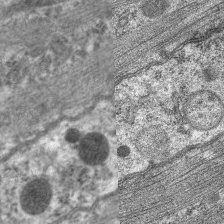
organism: C. elegans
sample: Pharynx